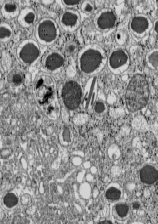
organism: C57BL Mouse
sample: Pancreatic islet